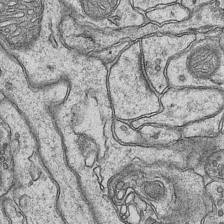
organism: Mouse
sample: CA1 Hippocampus